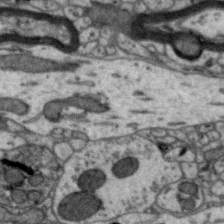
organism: Zebra finch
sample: Brain